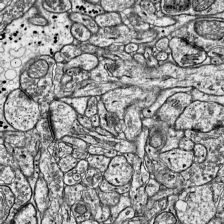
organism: Mouse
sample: Visual Cortex